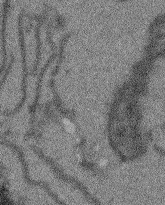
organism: Arabidopsis thaliana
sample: Root tip